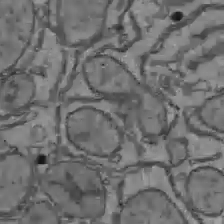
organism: C57BL Mouse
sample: Liver